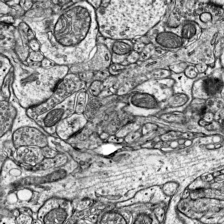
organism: Mouse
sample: Visual Cortex